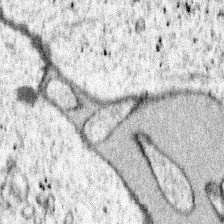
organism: Human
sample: HeLa cells